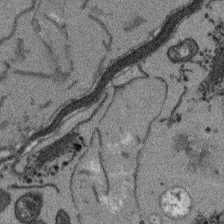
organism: Arabidopsis thaliana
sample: Root tip